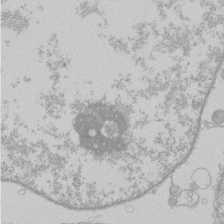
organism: Human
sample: Macrophage cells